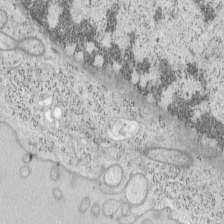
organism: Mouse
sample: OT-I killer T cells with ID8 ovarian cancer cells